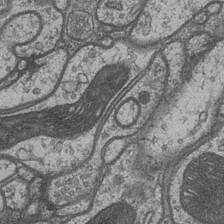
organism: Drosophila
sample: Optic medulla